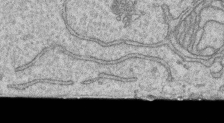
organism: Human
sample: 1205lu cells